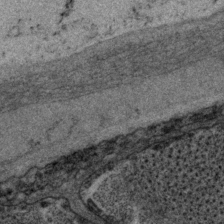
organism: P. pacificus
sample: Pharynx